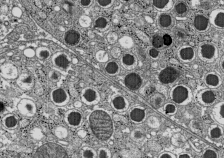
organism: C57BL Mouse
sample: Pancreatic islet